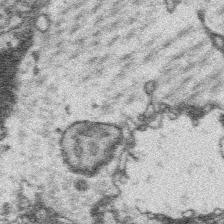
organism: Platynereis dumerilii